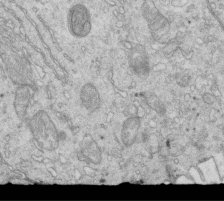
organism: Mouse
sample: Multiciliated cells